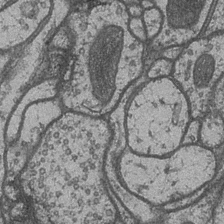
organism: Drosophila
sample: Optic medulla